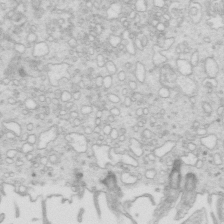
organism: Mouse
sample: Multiciliated cells